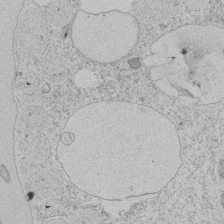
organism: Tetrahymena